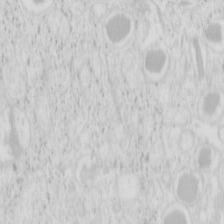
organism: Mouse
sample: Pancreas